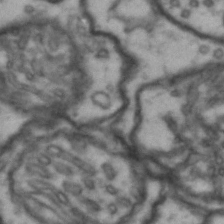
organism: Drosophila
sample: Brain